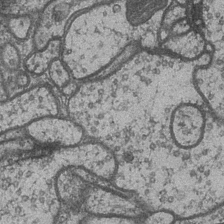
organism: Drosophila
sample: Optic medulla